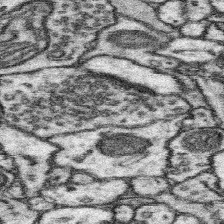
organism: Mouse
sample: Somatosensory cortex neuropil